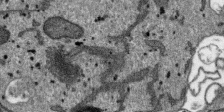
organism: Human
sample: Lung epithelial cells, uninfected (mock) control